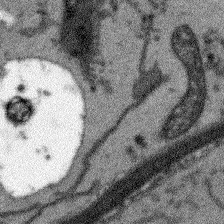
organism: Arabidopsis thaliana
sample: Root tip